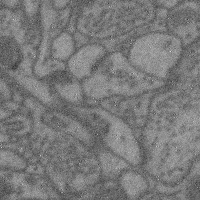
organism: Mouse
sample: Cerebral cortex